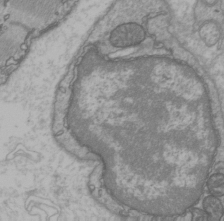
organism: C57BL Mouse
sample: Heart